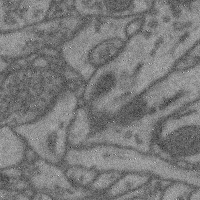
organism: Mouse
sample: Cerebral cortex